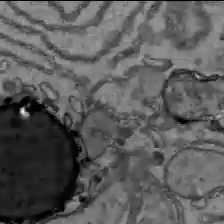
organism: C57BL Mouse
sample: Liver